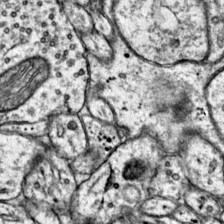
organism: Mouse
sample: Primary visual cortex